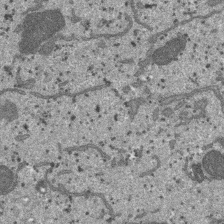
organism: Human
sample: Lung epithelial cells infected with SARS-CoV-2